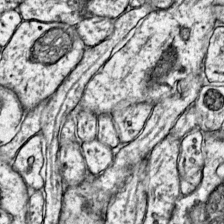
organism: Mouse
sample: Primary visual cortex